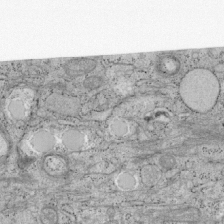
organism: Human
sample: HeLa cells